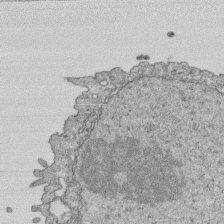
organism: Human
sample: HeLa cell HIV synapse